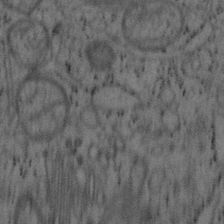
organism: Human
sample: HeLa cells